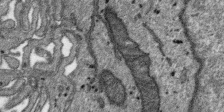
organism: Human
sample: Lung epithelial cells, uninfected (mock) control